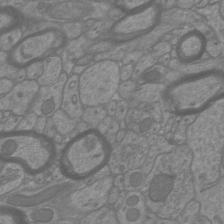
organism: Mouse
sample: Cortical neurons